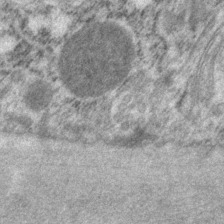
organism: P. pacificus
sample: Pharynx